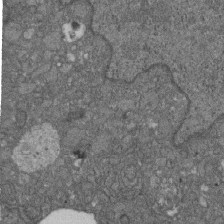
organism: Drosophila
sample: Nephrocyte